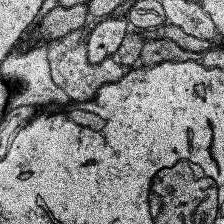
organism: Human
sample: Temporal Lobe